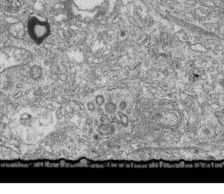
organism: Human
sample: HeLa cell HIV synapse